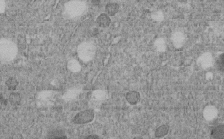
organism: C. elegans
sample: C. elegans embryo early stage